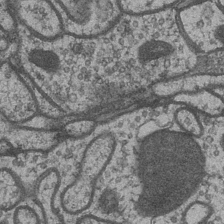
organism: Drosophila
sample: Optic medulla